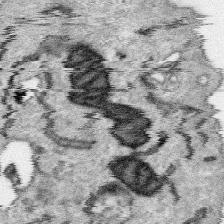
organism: Human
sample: HeLa cells